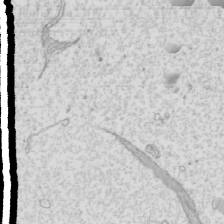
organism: Mouse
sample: Cilia; mouse epididymis